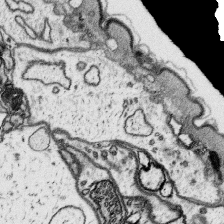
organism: Platynereis dumerilii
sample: Parapodia